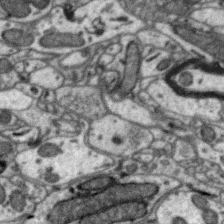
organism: Zebra finch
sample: Brain